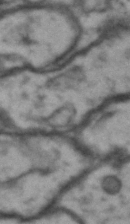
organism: Drosophila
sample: Brain